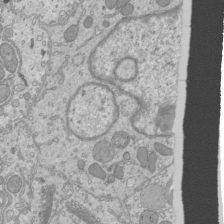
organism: Mouse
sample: Cilia; mouse epididymis